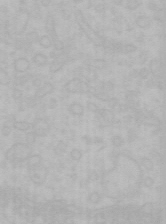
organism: Mouse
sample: Choroid plexus